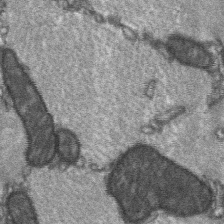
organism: C57BL Mouse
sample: Soleus